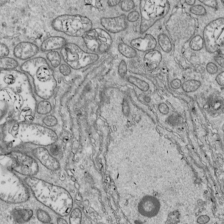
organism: Drosophila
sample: Cell division; meiosis; drosophila spermatocytes